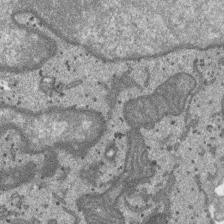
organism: Human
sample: Lung epithelial cells infected with SARS-CoV-2